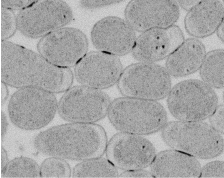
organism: E. coli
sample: Bacterial nucleoid